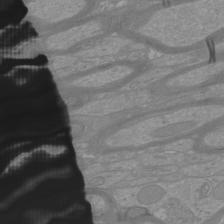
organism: Mouse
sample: Cortical neurons